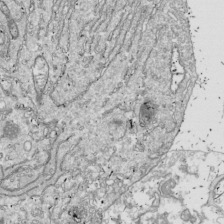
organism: Drosophila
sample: Cell division; meiosis; drosophila spermatocytes